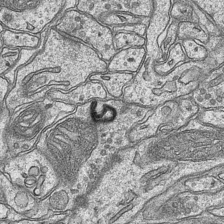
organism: Mouse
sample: CA1 Hippocampus